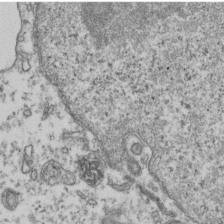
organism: Human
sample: Activated Jurkat CD4+ T cells